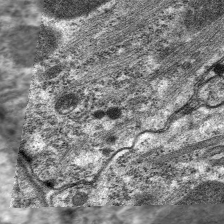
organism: C. elegans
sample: Pharynx